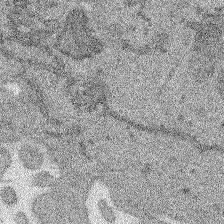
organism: Human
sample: HeLa cells